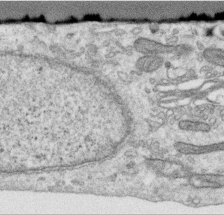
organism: Human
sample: Centriole in RPE cells